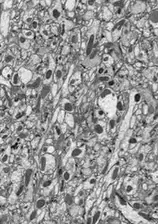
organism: Drosophila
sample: Optic lobe